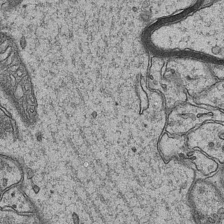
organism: Mouse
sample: CA1 Hippocampus